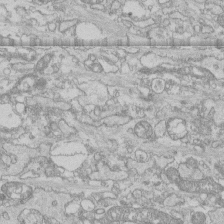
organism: Human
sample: CRL-1474